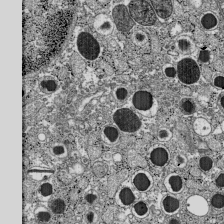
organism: C57BL Mouse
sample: Pancreatic islet